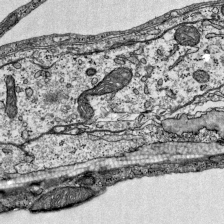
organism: Mouse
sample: Visual Cortex